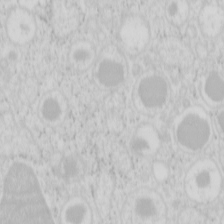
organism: Mouse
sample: Pancreas